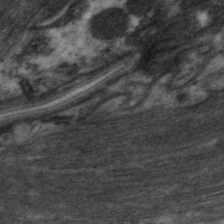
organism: C. elegans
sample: Pharynx